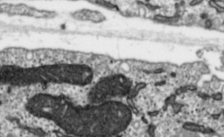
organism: Toxoplasma gondii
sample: Parasites in a vacuole inside a host cell